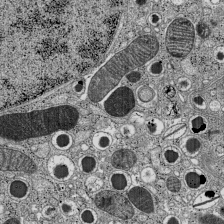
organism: C57BL Mouse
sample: Pancreatic islet